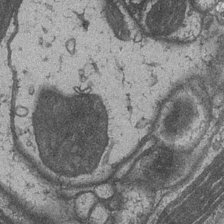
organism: Drosophila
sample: Optic medulla